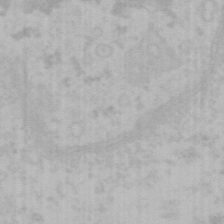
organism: Mouse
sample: Choroid plexus